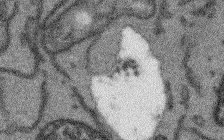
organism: Arabidopsis thaliana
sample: Root tip